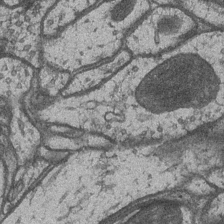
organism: Drosophila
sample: Optic medulla